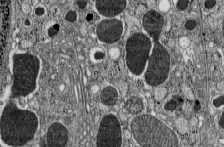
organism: C57BL Mouse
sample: Pancreatic islet